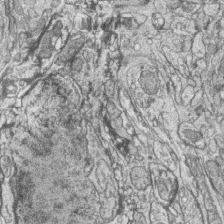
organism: Zebrafish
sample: synaptic ribbons in rod cells and cone cells